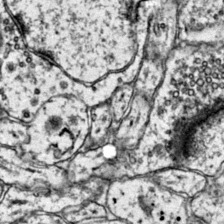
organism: Mouse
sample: Primary visual cortex